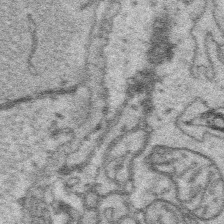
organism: Platynereis dumerilii